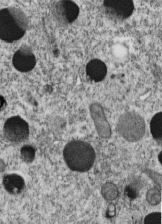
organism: C. elegans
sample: C. elegans embryo early stage